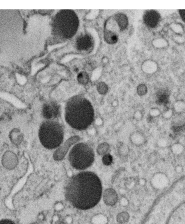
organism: C. elegans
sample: C. elegans oocyte; sperm cells